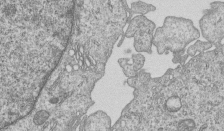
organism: Human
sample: MDA-MB-231 cells